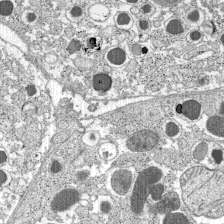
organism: C57BL Mouse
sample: Pancreatic islet